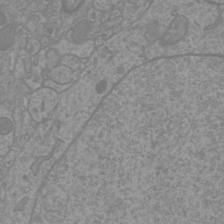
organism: Mouse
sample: Cortical neurons